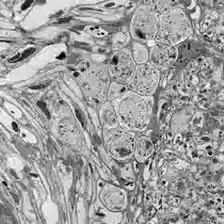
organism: Drosophila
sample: Optic lobe